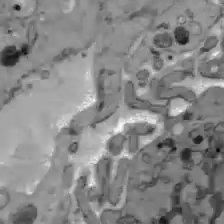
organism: C57BL Mouse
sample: Liver